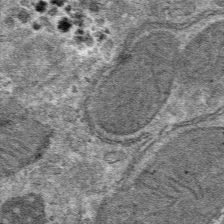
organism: Mouse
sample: Mouse hepatocytes